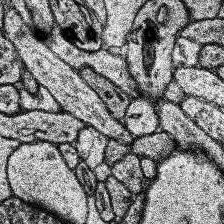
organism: Human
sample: Temporal Lobe